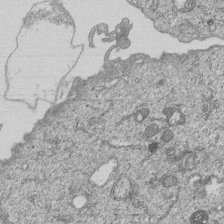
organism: Human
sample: MDA-MB-231 cells